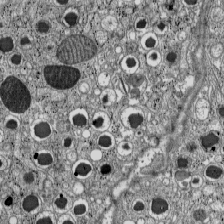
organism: C57BL Mouse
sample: Pancreatic islet